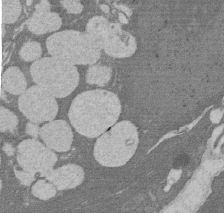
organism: Rat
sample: Salivary granule